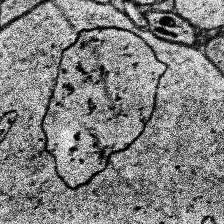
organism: Human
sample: Temporal Lobe